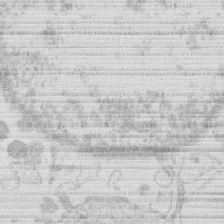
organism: Human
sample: Macrophage cells